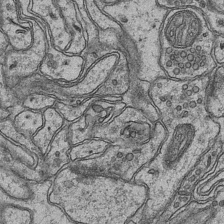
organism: Mouse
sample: CA1 Hippocampus